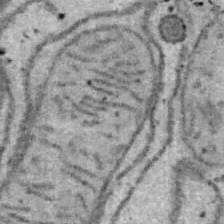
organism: Mouse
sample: Liver from an obese (ob/ob) mouse